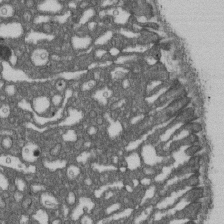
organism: Drosophila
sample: Nephrocyte